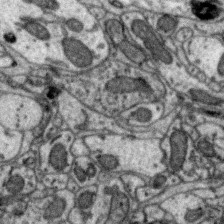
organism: Zebra finch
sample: Brain